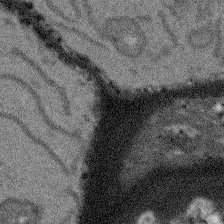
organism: Arabidopsis thaliana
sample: Root tip